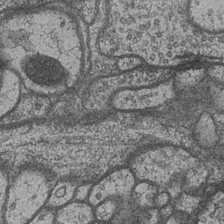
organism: Drosophila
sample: Optic medulla